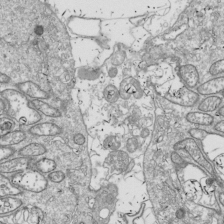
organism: Drosophila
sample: Cell division; meiosis; drosophila spermatocytes